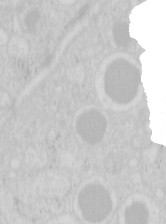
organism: Mouse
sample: Pancreas